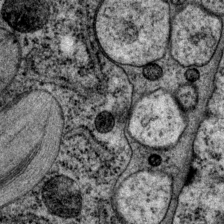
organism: P. pacificus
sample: Pharynx